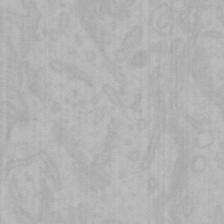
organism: Mouse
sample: Choroid plexus